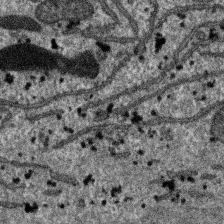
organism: Human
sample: Lung epithelial cells infected with SARS-CoV-2